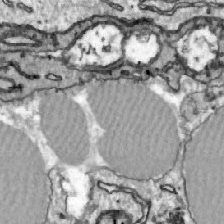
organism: Zebrafish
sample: Actinotrichia fibers